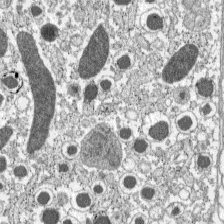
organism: C57BL Mouse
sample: Pancreatic islet